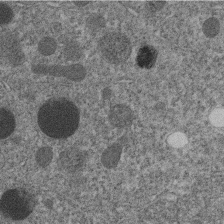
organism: C. elegans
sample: C. elegans embryo early stage